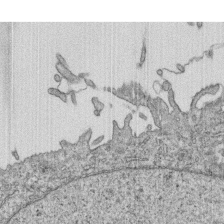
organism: Human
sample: HeLa cell HIV synapse